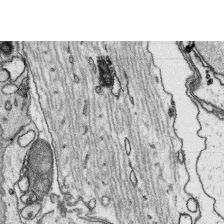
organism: Platynereis dumerilii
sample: Parapodia